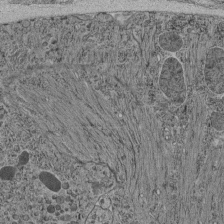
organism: C. elegans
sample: C. elegans pharynx